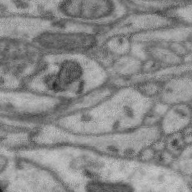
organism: Zebra finch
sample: Brain